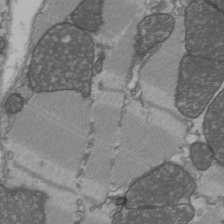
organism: C57BL Mouse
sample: Heart